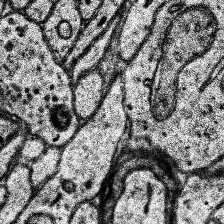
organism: Human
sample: Temporal Lobe